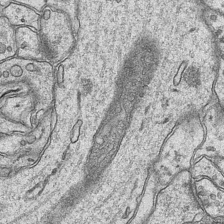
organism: Mouse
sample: CA1 Hippocampus